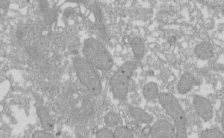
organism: Xenopus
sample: Cilia; centrioles in frog embryo cells